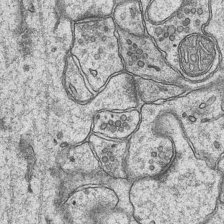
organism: Mouse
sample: CA1 Hippocampus